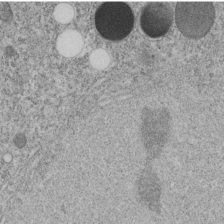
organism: C. elegans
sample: C. elegans embryo early stage